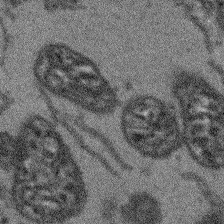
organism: Arabidopsis thaliana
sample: Root tip